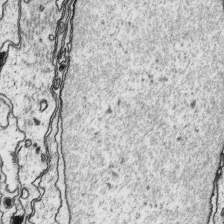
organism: Platynereis dumerilii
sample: Parapodia